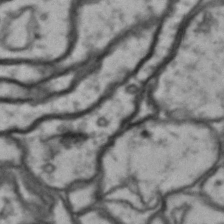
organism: Drosophila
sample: Brain